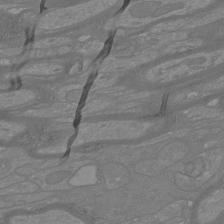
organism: Mouse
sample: Cortical neurons